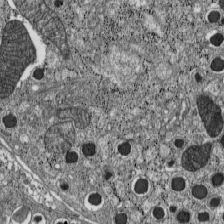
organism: C57BL Mouse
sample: Pancreatic islet